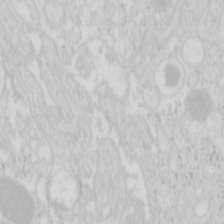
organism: Mouse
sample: Pancreas